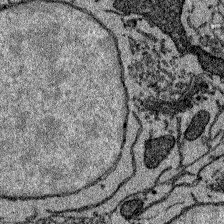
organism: Zebrafish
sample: Larval olfactory bulb